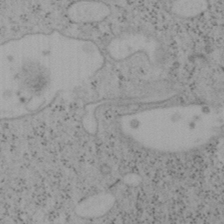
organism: Mouse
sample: OT-I killer T cells with ID8 ovarian cancer cells